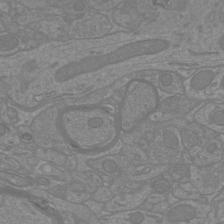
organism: Mouse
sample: Cortical neurons